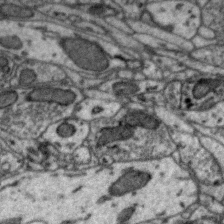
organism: Zebra finch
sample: Brain